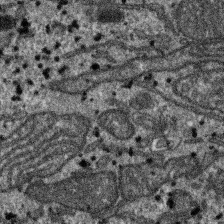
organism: Human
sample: Lung epithelial cells infected with SARS-CoV-2